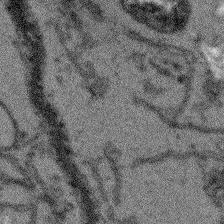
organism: Arabidopsis thaliana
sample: Root tip